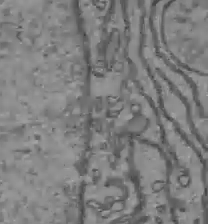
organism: C57BL Mouse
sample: Liver